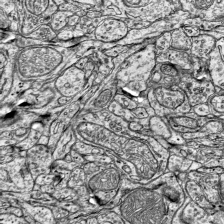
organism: Mouse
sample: Visual Cortex